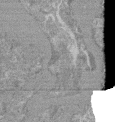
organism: Mouse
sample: Glomerulus